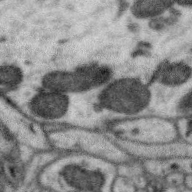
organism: Zebra finch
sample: Brain